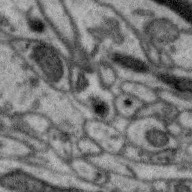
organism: Zebra finch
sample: Brain